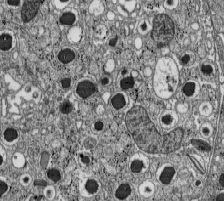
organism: C57BL Mouse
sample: Pancreatic islet